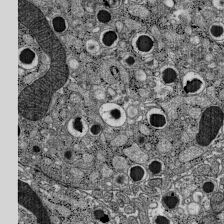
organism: C57BL Mouse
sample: Pancreatic islet